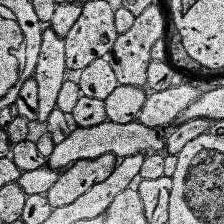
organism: Human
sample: Temporal Lobe